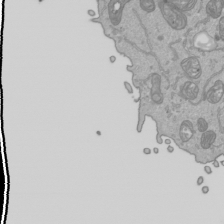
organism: Human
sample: Mitochondria in HCT116 cells